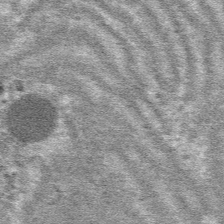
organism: Mouse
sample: Mouse hepatocytes